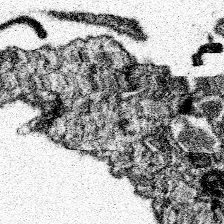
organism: Spongilla lacustris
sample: Neuroid cell